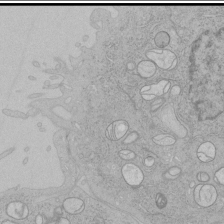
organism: Human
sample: Mitochondria in HCT116 cells